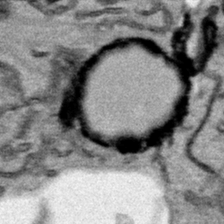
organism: Human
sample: Mitochondria in HCT116 cells